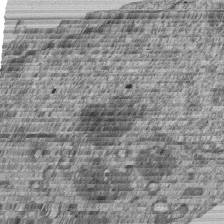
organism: Human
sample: MDA-MB-231 cells